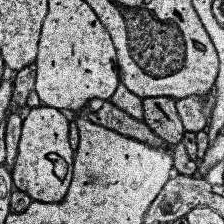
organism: Human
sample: Temporal Lobe